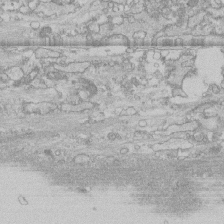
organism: Human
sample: CRL-1474